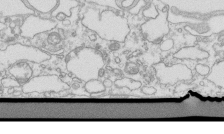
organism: Mouse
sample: Macrophages